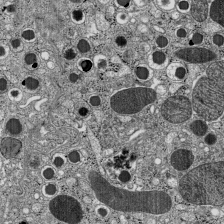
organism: C57BL Mouse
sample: Pancreatic islet